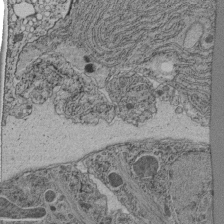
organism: C. elegans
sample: C. elegans pharynx